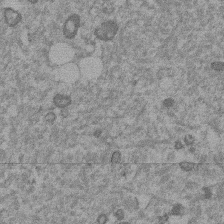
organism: Mouse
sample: Dividing mouse embryo 1 cell stage